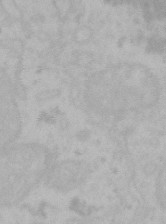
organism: Mouse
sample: Choroid plexus